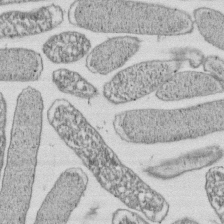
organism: E. coli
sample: Bacterial nucleoid